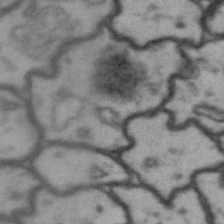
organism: Drosophila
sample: Brain